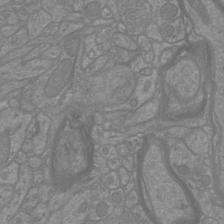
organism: Mouse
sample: Cortical neurons